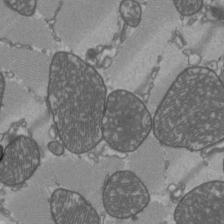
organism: C57BL Mouse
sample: Heart